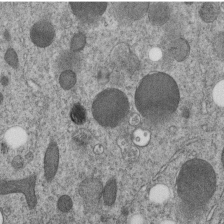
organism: C. elegans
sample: C. elegans embryo early stage